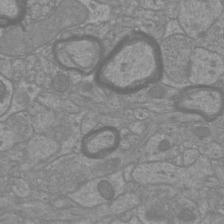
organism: Mouse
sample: Cortical neurons